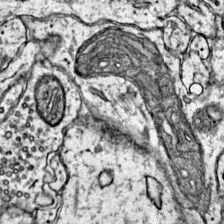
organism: Mouse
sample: Primary visual cortex